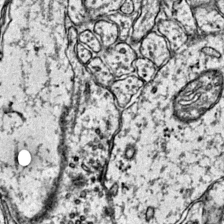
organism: Mouse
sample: Primary visual cortex